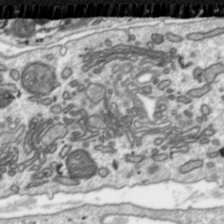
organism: Toxoplasma gondii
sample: Parasites in a vacuole inside a host cell